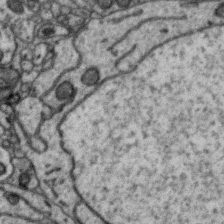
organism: Zebra finch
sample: Brain